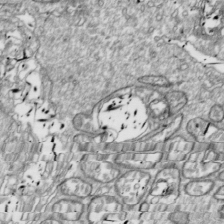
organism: Drosophila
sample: Cell division; meiosis; drosophila spermatocytes